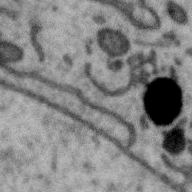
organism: Zebra finch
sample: Brain